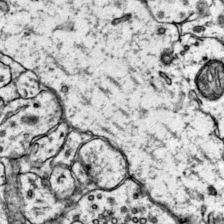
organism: Mouse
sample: Primary visual cortex